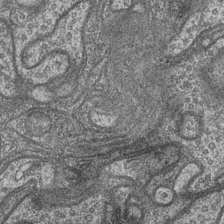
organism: Drosophila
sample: Optic medulla